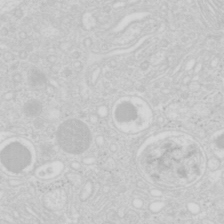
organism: Mouse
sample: Pancreas